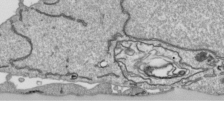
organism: Human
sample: Mitochondria in HCT116 cells